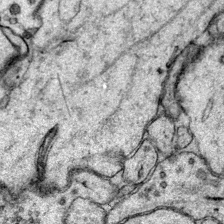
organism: Mouse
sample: Primary visual cortex